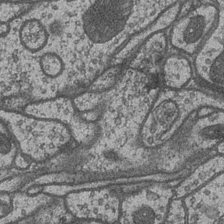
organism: Drosophila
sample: Optic medulla